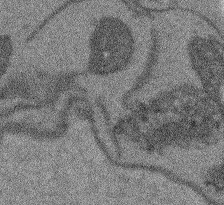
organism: Arabidopsis thaliana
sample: Root tip